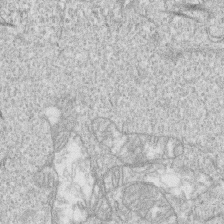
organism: Human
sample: HeLa cell HIV synapse